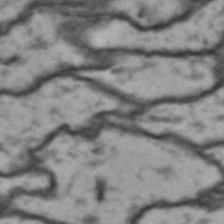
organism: Drosophila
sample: Brain